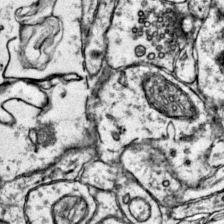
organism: Mouse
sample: Primary visual cortex